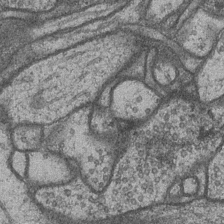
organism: Drosophila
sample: Optic medulla